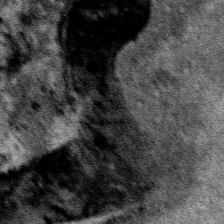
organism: Human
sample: Mitochondria in HCT116 cells